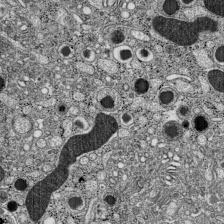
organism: C57BL Mouse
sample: Pancreatic islet